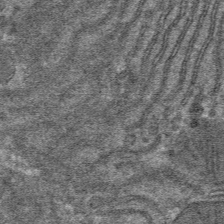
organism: Mouse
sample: Mouse hepatocytes